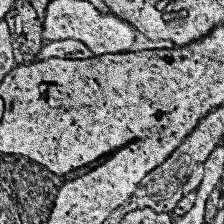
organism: Human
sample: Temporal Lobe